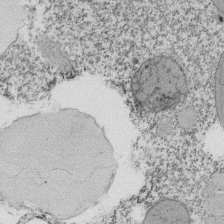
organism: Tetrahymena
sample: Cilia in tetrahymena